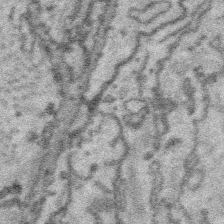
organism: Platynereis dumerilii